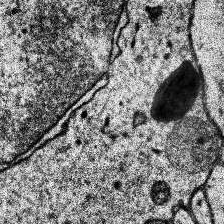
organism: Human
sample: Temporal Lobe